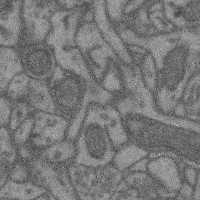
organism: Mouse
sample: Cerebral cortex